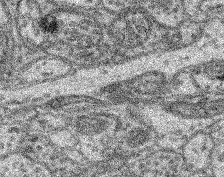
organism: Mouse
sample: Retina